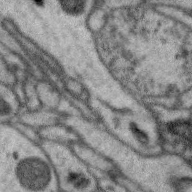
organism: Zebra finch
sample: Brain